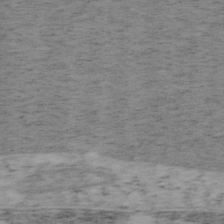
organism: Mouse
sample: OT-I killer T cells with ID8 ovarian cancer cells